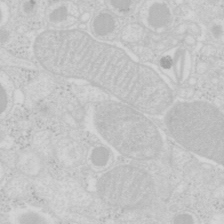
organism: Mouse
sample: Pancreas